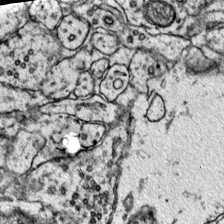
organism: Mouse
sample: Primary visual cortex